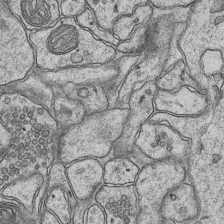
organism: Mouse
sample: CA1 Hippocampus